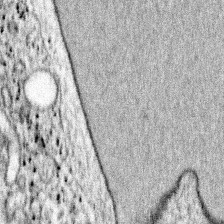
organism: Human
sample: HeLa cells